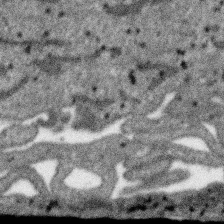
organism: Human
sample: Lung epithelial cells infected with SARS-CoV-2